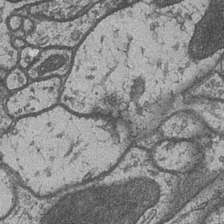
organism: Drosophila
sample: Optic medulla